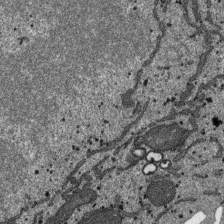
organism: Human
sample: Lung epithelial cells infected with SARS-CoV-2